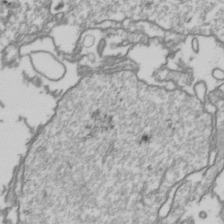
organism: Drosophila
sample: Cell division; meiosis; drosophila spermatocytes